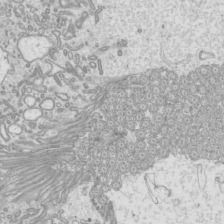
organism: Mouse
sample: Cilia; mouse epididymis